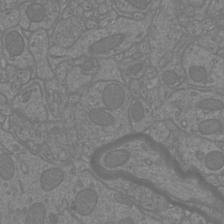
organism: Mouse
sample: Cortical neurons